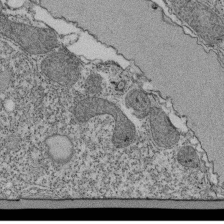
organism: Tetrahymena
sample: Cilia in tetrahymena